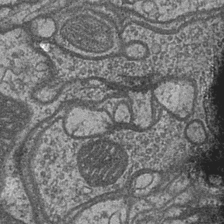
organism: Drosophila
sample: Optic medulla